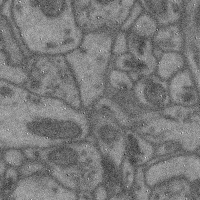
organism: Mouse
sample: Cerebral cortex